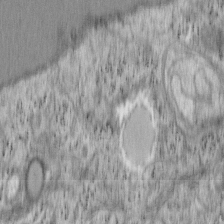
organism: Human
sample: HeLa cells